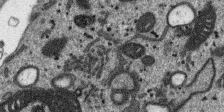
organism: Human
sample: Lung epithelial cells infected with SARS-CoV-2